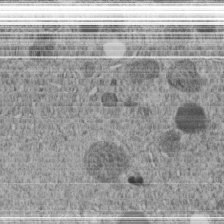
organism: C. elegans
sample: C. elegans embryo early stage